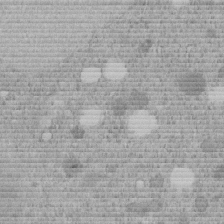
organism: C. elegans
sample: C. elegans embryo early stage